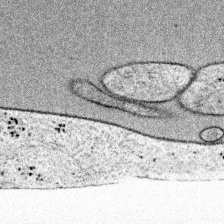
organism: Human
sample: HeLa cells